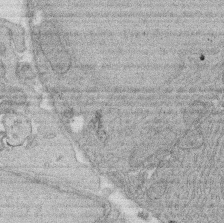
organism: Rat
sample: Salivary granule